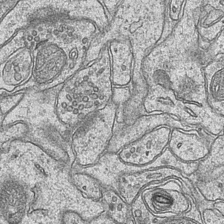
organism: Mouse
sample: CA1 Hippocampus